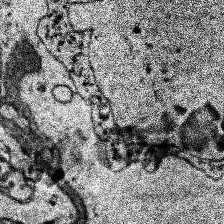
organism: Human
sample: Temporal Lobe